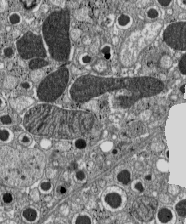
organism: C57BL Mouse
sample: Pancreatic islet